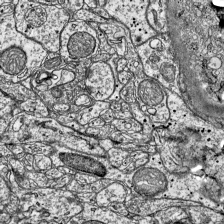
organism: Mouse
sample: Visual Cortex